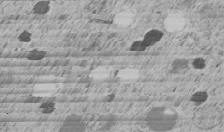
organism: C. elegans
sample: C. elegans embryo early stage